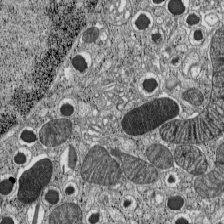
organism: C57BL Mouse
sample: Pancreatic islet